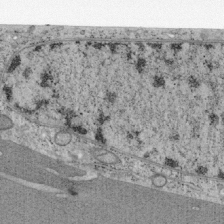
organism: Human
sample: HeLa cells